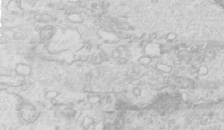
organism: Mouse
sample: Multiciliated cells